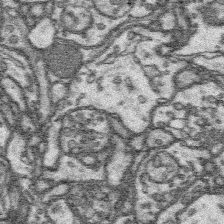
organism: Platynereis dumerilii